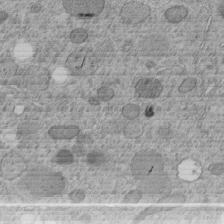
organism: C. elegans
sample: C. elegans embryo early stage